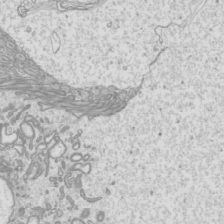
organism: Mouse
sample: Cilia; mouse epididymis